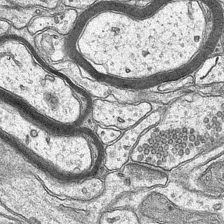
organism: Mouse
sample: CA1 Hippocampus